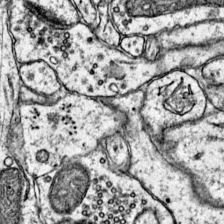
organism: Mouse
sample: Primary visual cortex